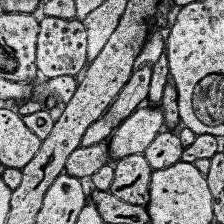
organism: Human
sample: Temporal Lobe